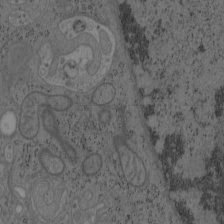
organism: Mouse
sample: OT-I killer T cells with ID8 ovarian cancer cells